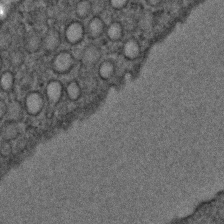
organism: C. elegans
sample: C. elegans embryo